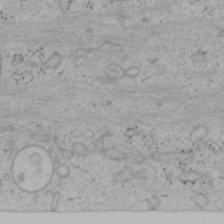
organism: Human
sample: HeLa cells